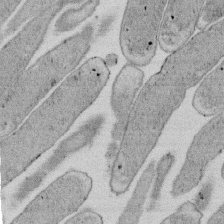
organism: E. coli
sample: Bacterial nucleoid